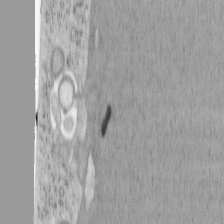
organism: Human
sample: HeLa cells